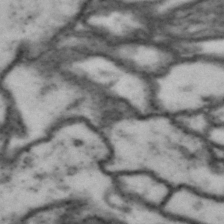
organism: Drosophila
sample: Brain